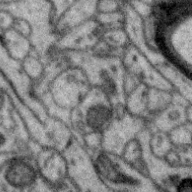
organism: Zebra finch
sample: Brain